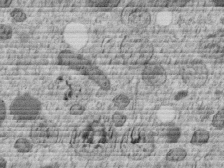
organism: C. elegans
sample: C. elegans embryo early stage